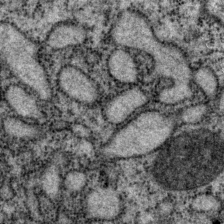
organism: P. pacificus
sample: Pharynx